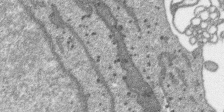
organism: Human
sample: Lung epithelial cells infected with SARS-CoV-2